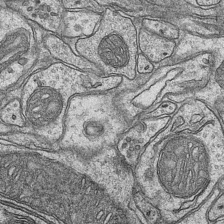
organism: Mouse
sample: CA1 Hippocampus